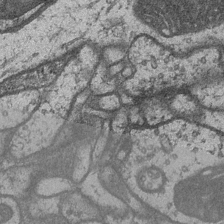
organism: Drosophila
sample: Optic medulla